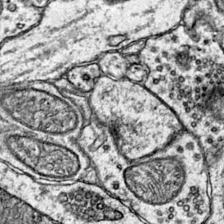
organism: Mouse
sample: Primary visual cortex